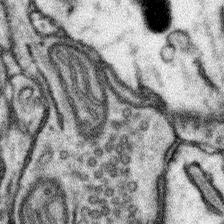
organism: Mouse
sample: Somatosensory cortex neuropil